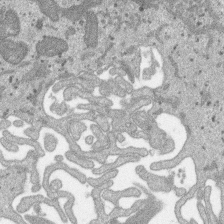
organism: Human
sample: Lung epithelial cells infected with SARS-CoV-2